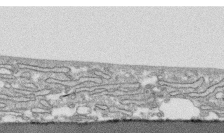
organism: Human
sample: CRL-1474